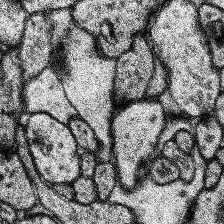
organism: Human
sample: Temporal Lobe